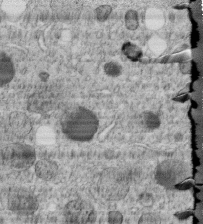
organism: C. elegans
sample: C. elegans embryo early stage